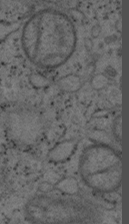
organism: Human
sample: HeLa cells